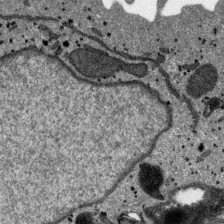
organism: Human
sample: Lung epithelial cells, uninfected (mock) control